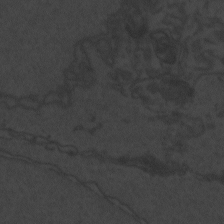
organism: Zebrafish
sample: Macrophage infected with Toxoplasma gondii